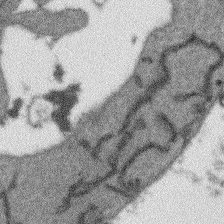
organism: Arabidopsis thaliana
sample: Root tip